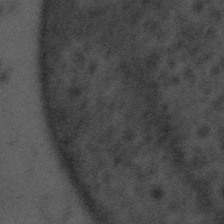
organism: Tuwongella immobilis